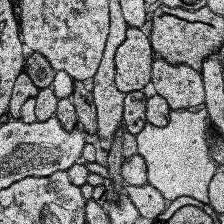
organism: Human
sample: Temporal Lobe